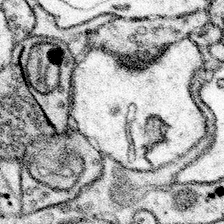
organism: Mouse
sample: Somatosensory cortex neuropil